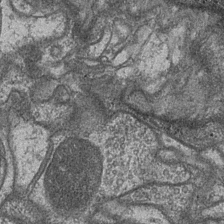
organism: Drosophila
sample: Optic medulla